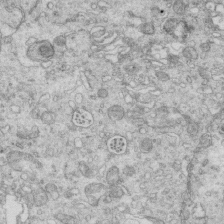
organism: Mouse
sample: Multiciliated cells